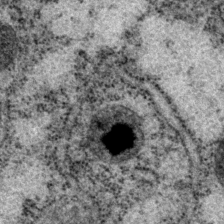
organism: P. pacificus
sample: Pharynx